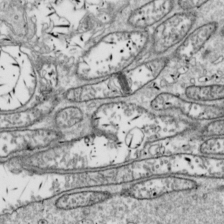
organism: Drosophila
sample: Cell division; meiosis; drosophila spermatocytes